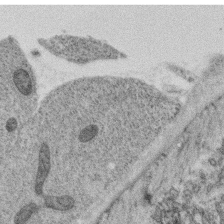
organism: C. elegans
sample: C. elegans oocyte; sperm cells